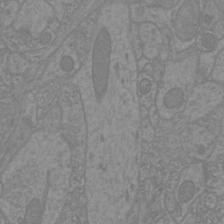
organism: Mouse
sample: Cortical neurons